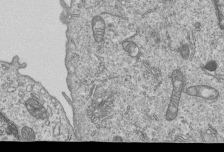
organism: Human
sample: MDA-MB-231 cells